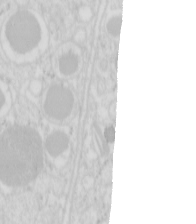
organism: Mouse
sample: Pancreas